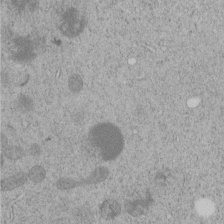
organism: C. elegans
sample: C. elegans embryo early stage